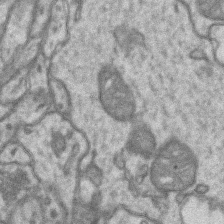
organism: Mouse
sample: CA1 Hippocampus